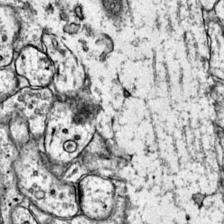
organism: Mouse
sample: Primary visual cortex